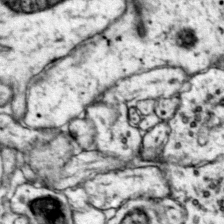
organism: Mouse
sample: Primary visual cortex